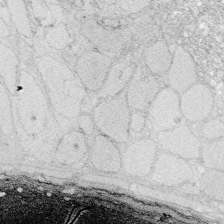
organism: Zebrafish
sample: Whole-Brain